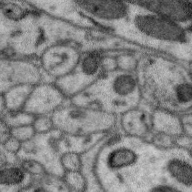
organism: Zebra finch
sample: Brain